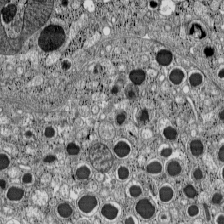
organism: C57BL Mouse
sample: Pancreatic islet